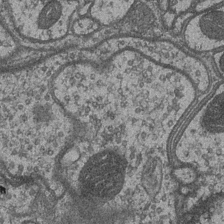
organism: Drosophila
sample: Optic medulla